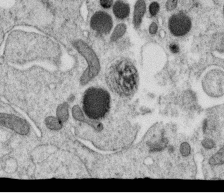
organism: C. elegans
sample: C. elegans oocyte; sperm cells